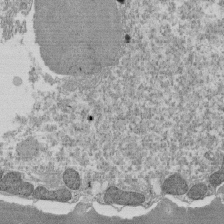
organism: Tetrahymena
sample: Cilia in tetrahymena